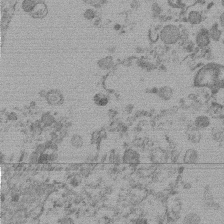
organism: Mouse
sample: Dividing mouse embryo 1 cell stage